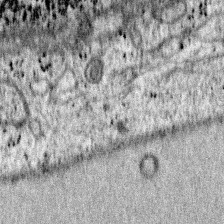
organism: Human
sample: HeLa cells